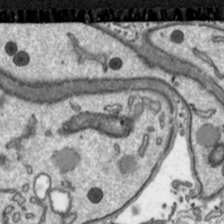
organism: Toxoplasma gondii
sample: Parasites in a vacuole inside a host cell